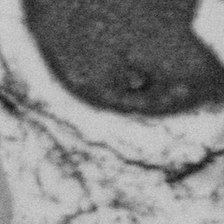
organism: Gemmata obscuriglobus